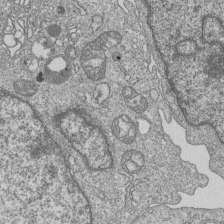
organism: Human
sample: MDA-MB-231 cells